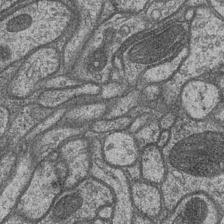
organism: Drosophila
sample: Optic medulla